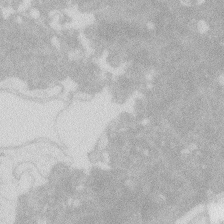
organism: Zebrafish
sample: Macrophage